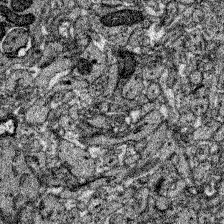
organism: Zebrafish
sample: Larval olfactory bulb